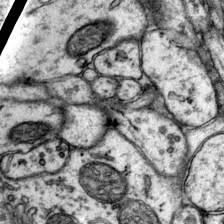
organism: Mouse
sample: Primary visual cortex